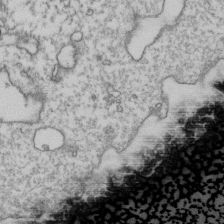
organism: Human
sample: Activated Jurkat CD4+ T cells